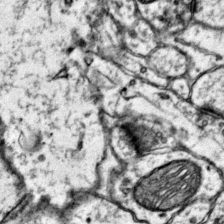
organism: Mouse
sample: Primary visual cortex